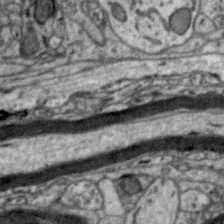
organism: Zebra finch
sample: Brain